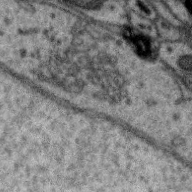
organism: Zebra finch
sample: Brain